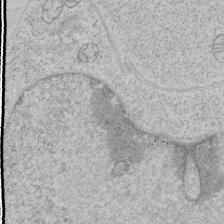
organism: Human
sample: Mitochondria in HCT116 cells